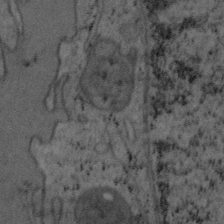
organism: Human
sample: HeLa cells